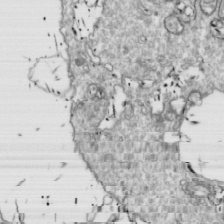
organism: Drosophila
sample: Cell division; meiosis; drosophila spermatocytes